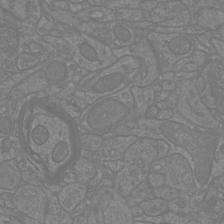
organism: Mouse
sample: Cortical neurons